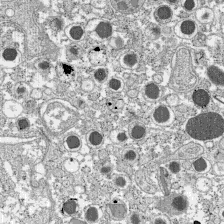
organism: C57BL Mouse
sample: Pancreatic islet